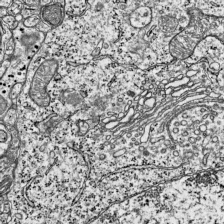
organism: Mouse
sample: Visual Cortex